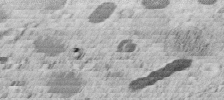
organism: C. elegans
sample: C. elegans embryo early stage